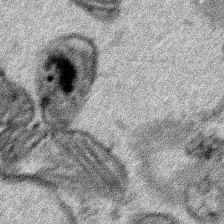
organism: Human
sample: Mitochondria in HCT116 cells